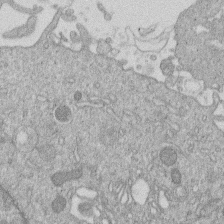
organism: Human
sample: Macrophage cells